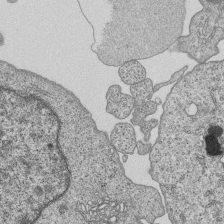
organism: Human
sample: MDA-MB-231 cells